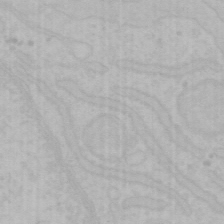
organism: Mouse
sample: Choroid plexus